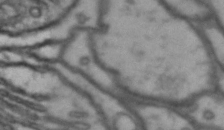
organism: Drosophila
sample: Brain